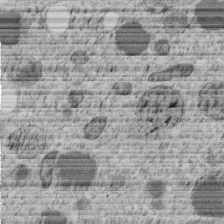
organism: C. elegans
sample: C. elegans embryo early stage